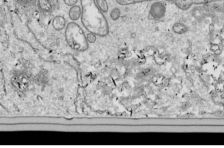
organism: Drosophila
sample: Cell division; meiosis; drosophila spermatocytes